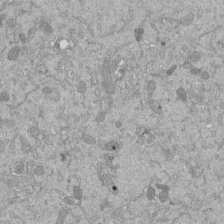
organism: Mouse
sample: ED-1 cell nuclei; centrioles